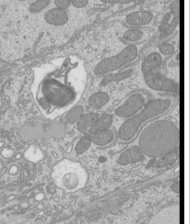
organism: Mouse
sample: Cilia; mouse epididymis